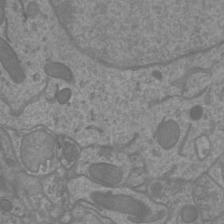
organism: Mouse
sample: Cortical neurons